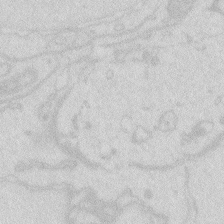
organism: Zebrafish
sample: Macrophage